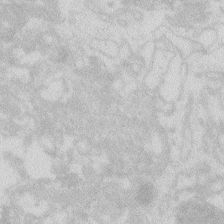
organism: Zebrafish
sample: Macrophage